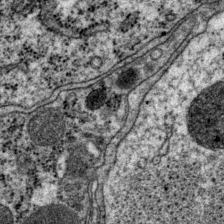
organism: P. pacificus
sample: Pharynx